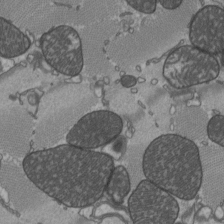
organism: C57BL Mouse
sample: Heart